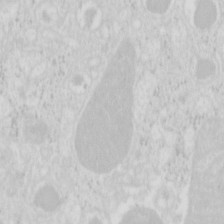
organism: Mouse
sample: Pancreas